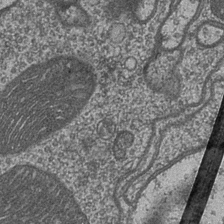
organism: Drosophila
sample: Optic medulla